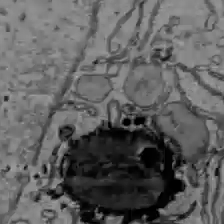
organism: C57BL Mouse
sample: Liver